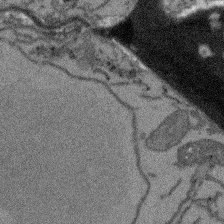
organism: Arabidopsis thaliana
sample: Root tip